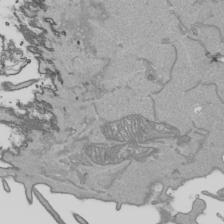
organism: Human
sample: Mitochondria in HCT116 cells